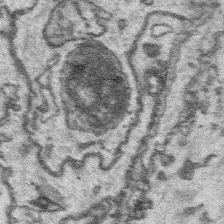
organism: Platynereis dumerilii